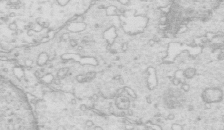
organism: Mouse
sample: Multiciliated cells